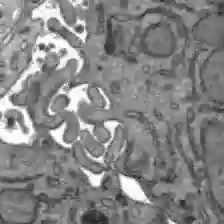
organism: C57BL Mouse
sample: Liver